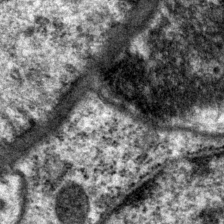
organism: P. pacificus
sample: Pharynx